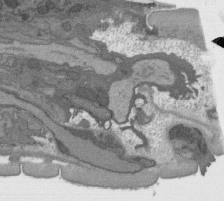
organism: C. elegans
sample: AFD neurons C. elegans